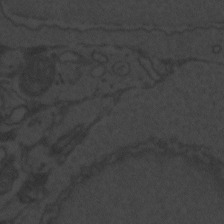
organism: Zebrafish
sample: Macrophage infected with Toxoplasma gondii